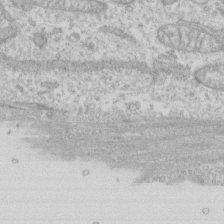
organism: Human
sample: CRL-1474